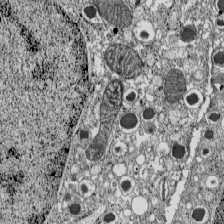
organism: C57BL Mouse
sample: Pancreatic islet